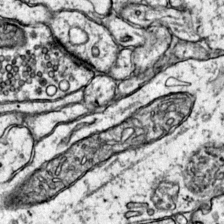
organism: Mouse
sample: Primary visual cortex